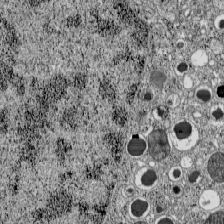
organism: C57BL Mouse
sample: Pancreatic islet